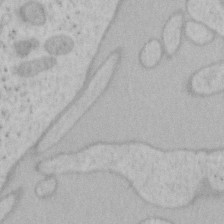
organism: Human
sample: HeLa cells